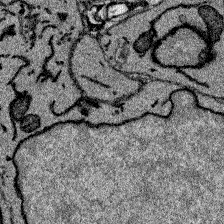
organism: Zebrafish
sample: Larval olfactory bulb